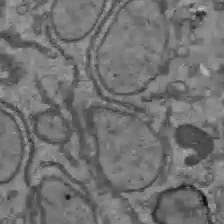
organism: C57BL Mouse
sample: Liver